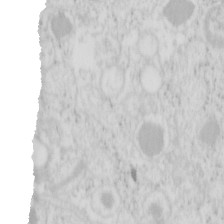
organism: Mouse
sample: Pancreas